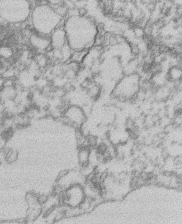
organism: Mouse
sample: T cell stromal cell synapse